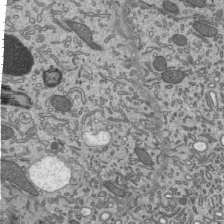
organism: Mouse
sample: Mouse epididymis efferent ductule cilia